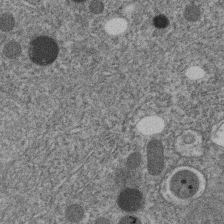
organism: C. elegans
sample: C. elegans embryo early stage